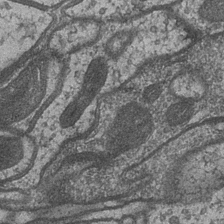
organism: Drosophila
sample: Optic medulla